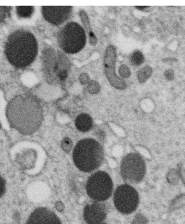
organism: C. elegans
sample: C. elegans oocyte; sperm cells